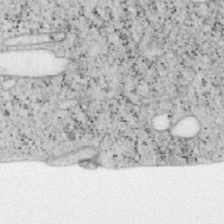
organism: Mouse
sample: OT-I killer T cells with ID8 ovarian cancer cells